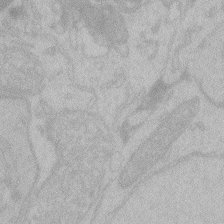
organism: Zebrafish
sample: Macrophage infected with Toxoplasma gondii